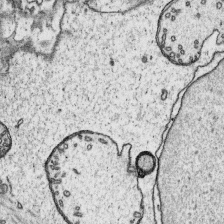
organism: Platynereis dumerilii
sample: Parapodia